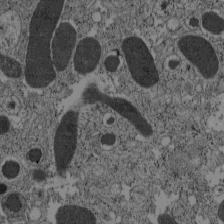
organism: C57BL Mouse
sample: Pancreatic islet